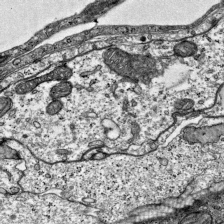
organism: Mouse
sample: Visual Cortex